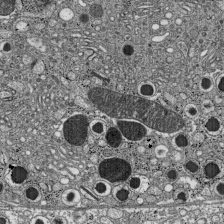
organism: C57BL Mouse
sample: Pancreatic islet